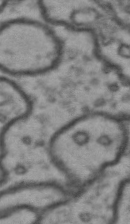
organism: Drosophila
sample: Brain